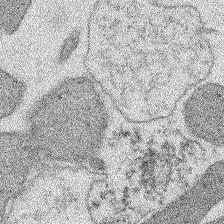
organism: Human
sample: HeLa cells